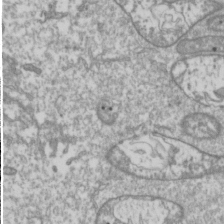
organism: Drosophila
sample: Cell division; meiosis; drosophila spermatocytes